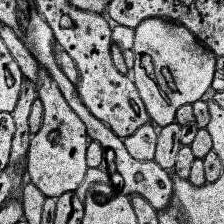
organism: Human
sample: Temporal Lobe